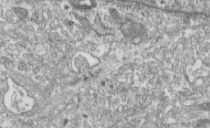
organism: Human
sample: Centriole in fibroblast cells